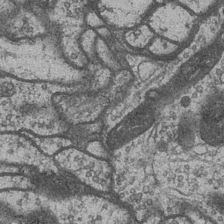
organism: Drosophila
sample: Optic medulla